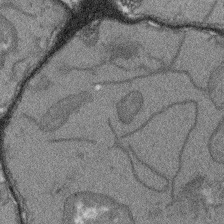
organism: Arabidopsis thaliana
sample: Root tip